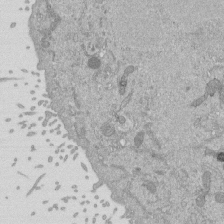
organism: Mouse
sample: ED-1 cell nuclei; centrioles